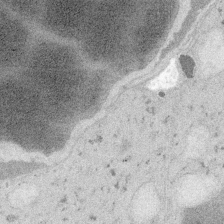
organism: Embia sp.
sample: Silk gland